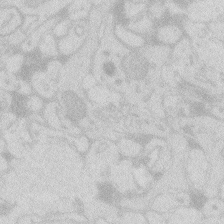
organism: Zebrafish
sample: Macrophage